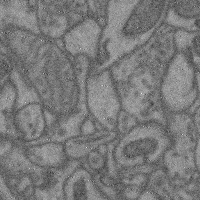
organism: Mouse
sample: Cerebral cortex